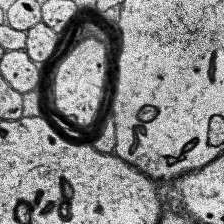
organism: Human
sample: Temporal Lobe